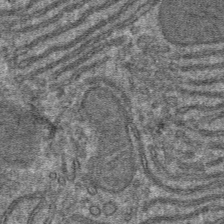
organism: Mouse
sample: Mouse hepatocytes